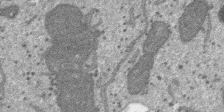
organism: Human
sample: Lung epithelial cells infected with SARS-CoV-2